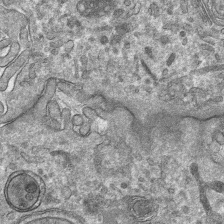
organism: Mouse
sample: Mouse hepatocytes